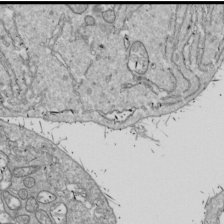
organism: Drosophila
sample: Cell division; meiosis; drosophila spermatocytes